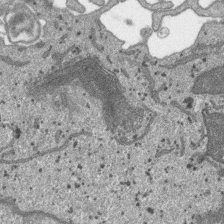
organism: Human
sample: Lung epithelial cells infected with SARS-CoV-2